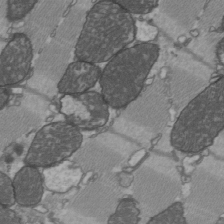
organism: C57BL Mouse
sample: Heart